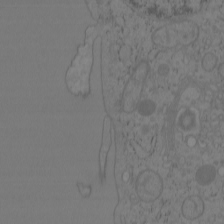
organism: Human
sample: HeLa cells